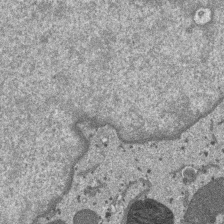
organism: Human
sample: Lung epithelial cells infected with SARS-CoV-2